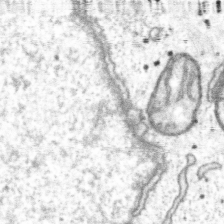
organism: Human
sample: HeLa cells